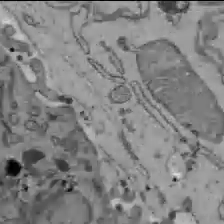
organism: C57BL Mouse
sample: Liver